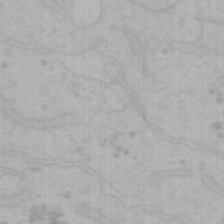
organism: Mouse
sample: Choroid plexus